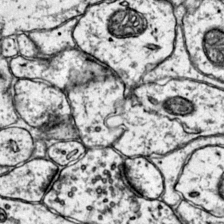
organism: Mouse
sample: Primary visual cortex